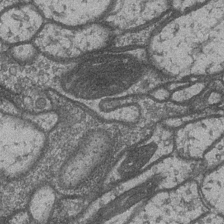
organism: Drosophila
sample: Optic medulla